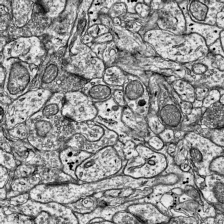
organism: Mouse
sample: Visual Cortex